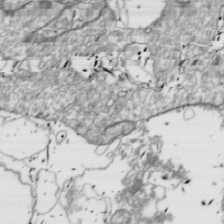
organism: Drosophila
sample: Cell division; meiosis; drosophila spermatocytes